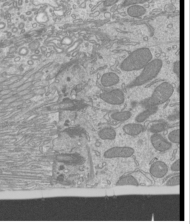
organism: Mouse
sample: Cilia; mouse epididymis